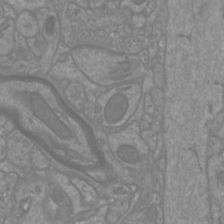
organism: Mouse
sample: Cortical neurons